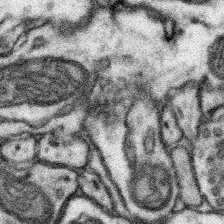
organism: Mouse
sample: Somatosensory cortex neuropil